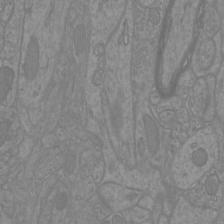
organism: Mouse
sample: Cortical neurons